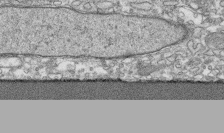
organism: Human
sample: CRL-1474